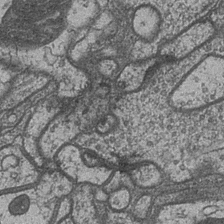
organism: Drosophila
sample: Optic medulla